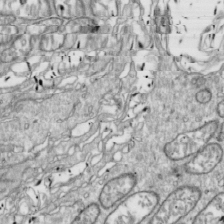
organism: Drosophila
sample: Cell division; meiosis; drosophila spermatocytes